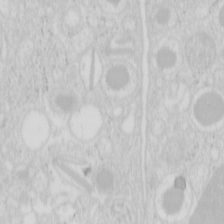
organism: Mouse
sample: Pancreas